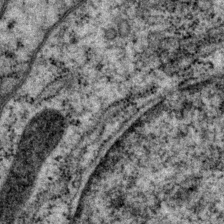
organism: P. pacificus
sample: Pharynx